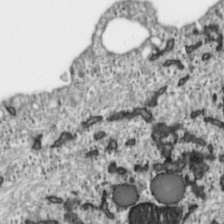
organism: Toxoplasma gondii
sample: Parasites in a vacuole inside a host cell